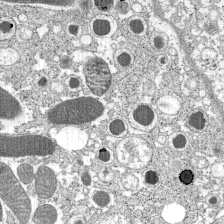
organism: C57BL Mouse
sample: Pancreatic islet